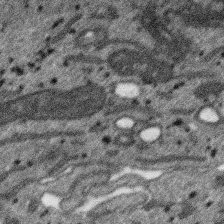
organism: Human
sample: Lung epithelial cells infected with SARS-CoV-2